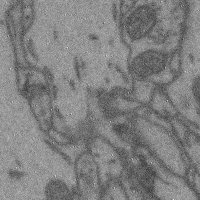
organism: Mouse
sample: Cerebral cortex